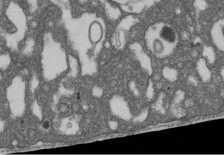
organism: Drosophila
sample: Nephrocyte